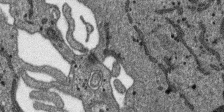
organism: Human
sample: Lung epithelial cells infected with SARS-CoV-2